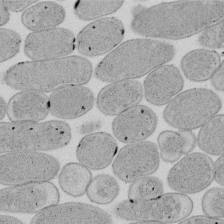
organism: E. coli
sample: Bacterial nucleoid